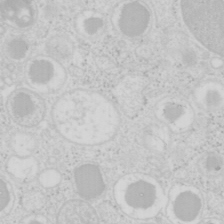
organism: Mouse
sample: Pancreas